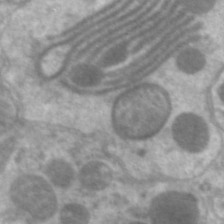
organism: C. elegans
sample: Pharynx